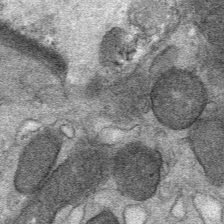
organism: Mouse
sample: Mouse Salivary gland